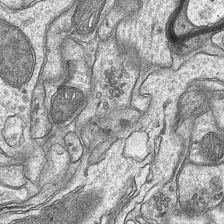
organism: Mouse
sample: CA1 Hippocampus